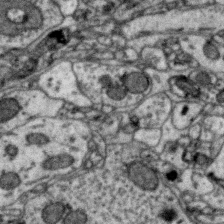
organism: Zebra finch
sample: Brain